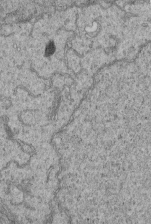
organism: Human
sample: Retinal organoid Rod and Cone cells